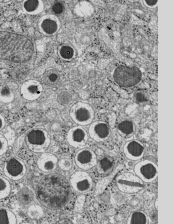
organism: C57BL Mouse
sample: Pancreatic islet